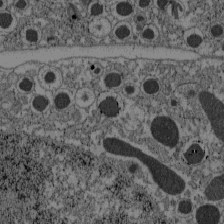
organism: C57BL Mouse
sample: Pancreatic islet